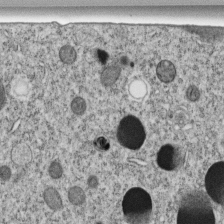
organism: C. elegans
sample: C. elegans embryo early stage